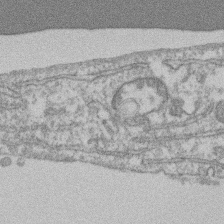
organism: Mouse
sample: T cell stromal cell synapse